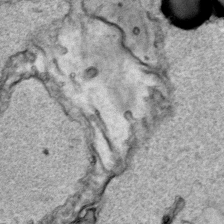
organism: Human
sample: Mitochondria in HCT116 cells